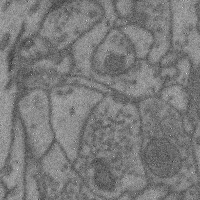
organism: Mouse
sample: Cerebral cortex